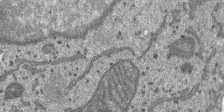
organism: Human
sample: Lung epithelial cells infected with SARS-CoV-2